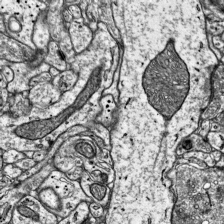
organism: Mouse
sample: Visual Cortex